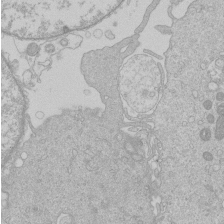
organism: Human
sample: Macrophage cells